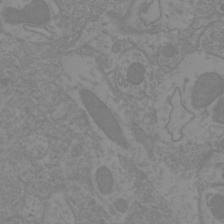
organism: Mouse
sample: Cortical neurons